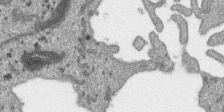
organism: Human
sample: Lung epithelial cells infected with SARS-CoV-2